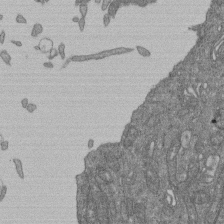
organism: Human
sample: Retinal organoid Rod and Cone cells